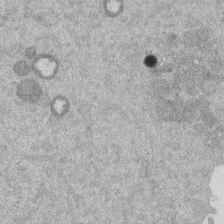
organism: Mouse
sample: Dividing mouse embryo 1 cell stage